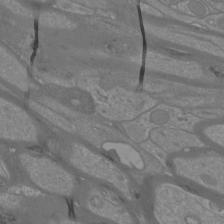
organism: Mouse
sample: Cortical neurons